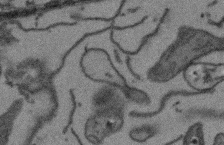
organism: Arabidopsis thaliana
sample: Root tip